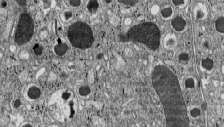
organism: C57BL Mouse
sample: Pancreatic islet